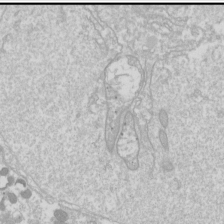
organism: Drosophila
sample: Cell division; meiosis; drosophila spermatocytes